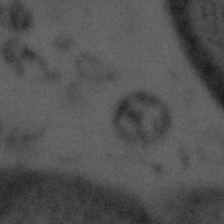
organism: Tuwongella immobilis